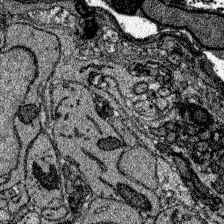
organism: Zebrafish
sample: Larval olfactory bulb